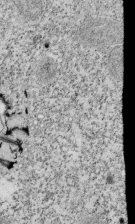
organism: Tetrahymena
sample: Cilia in tetrahymena